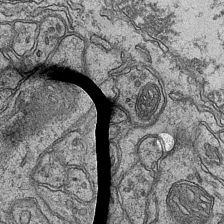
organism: Mouse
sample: CA1 Hippocampus